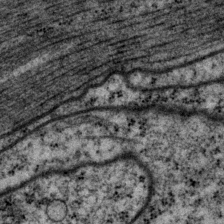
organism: P. pacificus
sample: Pharynx